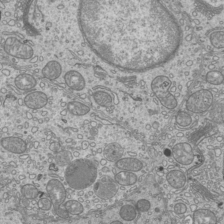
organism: Mouse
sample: Cilia; mouse epididymis